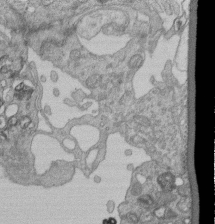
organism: Human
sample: Retinal organoid Rod and Cone cells